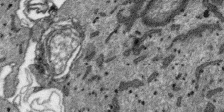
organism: Human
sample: Lung epithelial cells, uninfected (mock) control